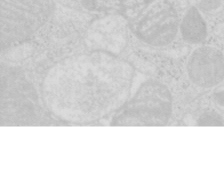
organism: Mouse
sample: Pancreas